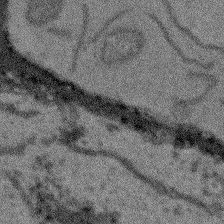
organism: Arabidopsis thaliana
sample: Root tip